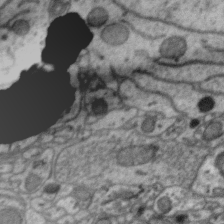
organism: Zebra finch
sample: Brain